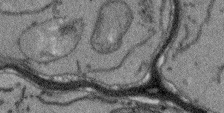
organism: Arabidopsis thaliana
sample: Root tip